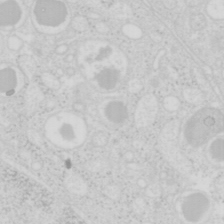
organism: Mouse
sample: Pancreas